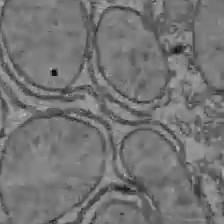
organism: C57BL Mouse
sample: Liver